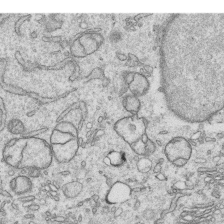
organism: Human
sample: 1205lu cells